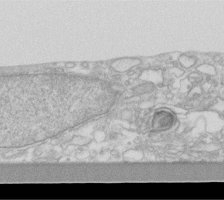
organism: Human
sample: Fibroblast cells